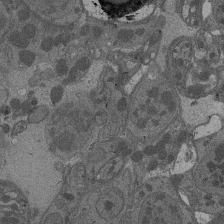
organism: Drosophila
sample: Antenna